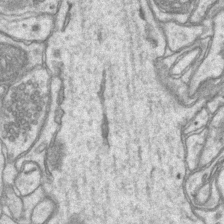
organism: Mouse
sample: CA1 Hippocampus